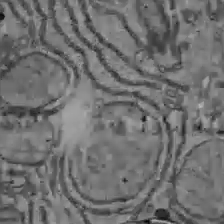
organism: C57BL Mouse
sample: Liver